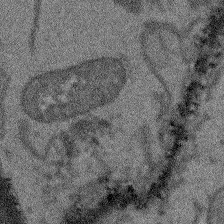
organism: Arabidopsis thaliana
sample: Root tip